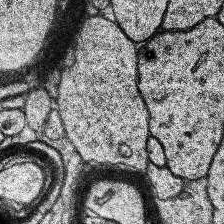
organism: Human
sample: Temporal Lobe